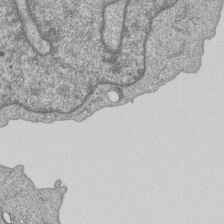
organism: Human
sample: MDA-MB-231 cells